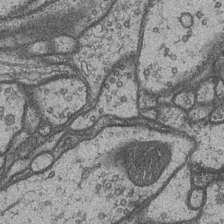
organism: Drosophila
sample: Optic medulla